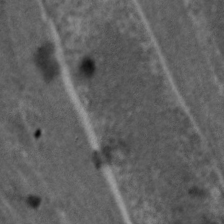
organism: C. elegans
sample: Pharynx